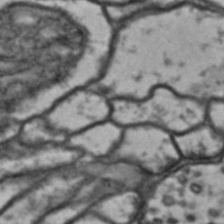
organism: Drosophila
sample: Brain